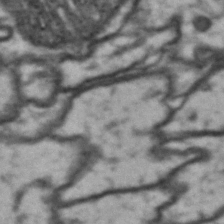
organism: Drosophila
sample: Brain